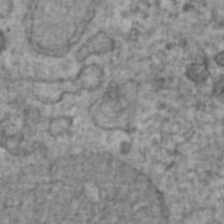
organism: Human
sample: Blood